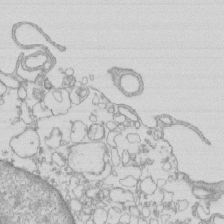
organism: Mouse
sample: Macrophages